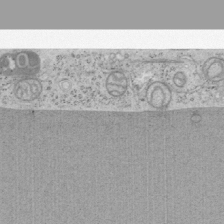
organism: Human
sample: HeLa cells